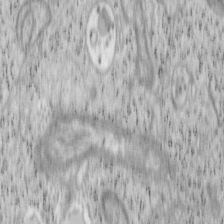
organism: Human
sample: HeLa cells